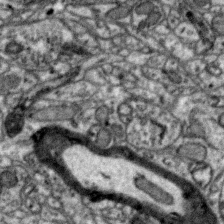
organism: Zebra finch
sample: Brain